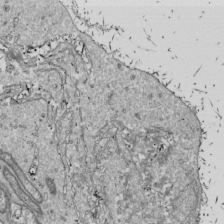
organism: Drosophila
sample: Cell division; meiosis; drosophila spermatocytes